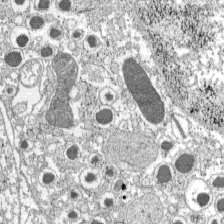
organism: C57BL Mouse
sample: Pancreatic islet